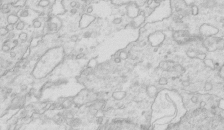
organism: Mouse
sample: Multiciliated cells